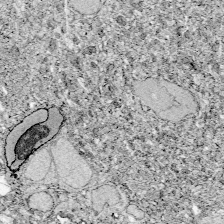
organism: Zebrafish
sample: Whole-Brain